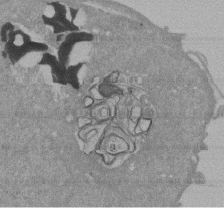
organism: Mouse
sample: ED-1 cell nuclei; centrioles